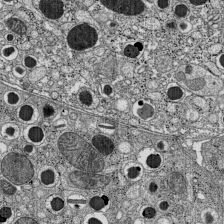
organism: C57BL Mouse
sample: Pancreatic islet